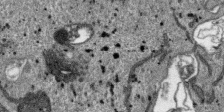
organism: Human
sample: Lung epithelial cells, uninfected (mock) control